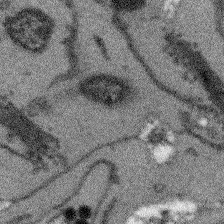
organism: Arabidopsis thaliana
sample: Root tip